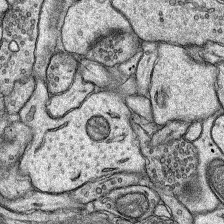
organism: Rat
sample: Hippocampus